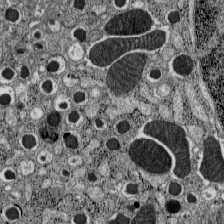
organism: C57BL Mouse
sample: Pancreatic islet